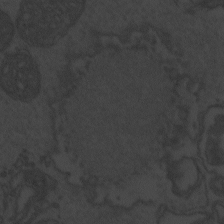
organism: Zebrafish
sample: Macrophage infected with Toxoplasma gondii